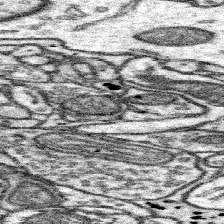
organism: Mouse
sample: Somatosensory cortex neuropil